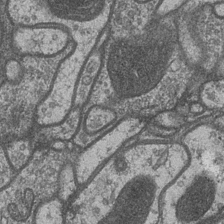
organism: Drosophila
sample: Optic medulla